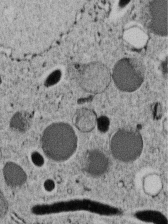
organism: C. elegans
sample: C. elegans embryo early stage